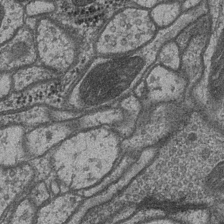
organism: Drosophila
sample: Optic medulla